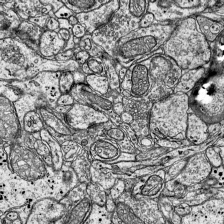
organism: Mouse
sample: Visual Cortex